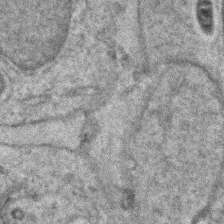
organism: Zebrafish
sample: Zebrafish embryo